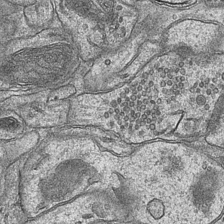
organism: Mouse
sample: CA1 Hippocampus